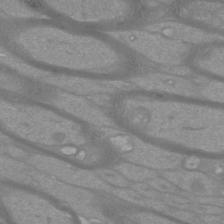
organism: Mouse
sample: Cortical neurons